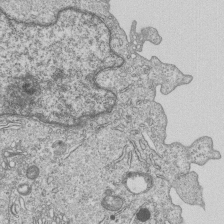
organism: Human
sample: MDA-MB-231 cells